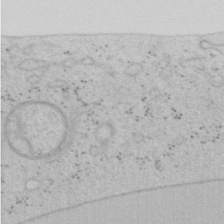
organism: Human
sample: HeLa cells